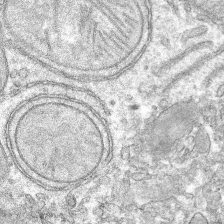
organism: Mouse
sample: Mouse hepatocytes